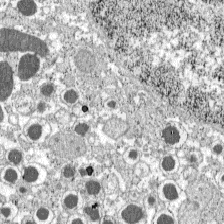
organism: C57BL Mouse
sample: Pancreatic islet